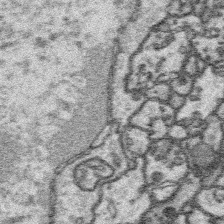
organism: Platynereis dumerilii